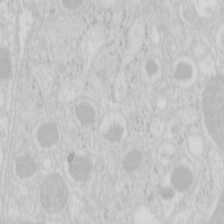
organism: Mouse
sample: Pancreas